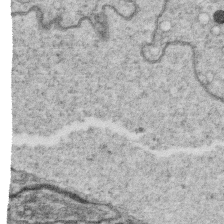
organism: C. elegans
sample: C. elegans oocyte; sperm cells